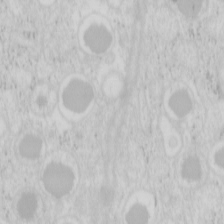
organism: Mouse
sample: Pancreas